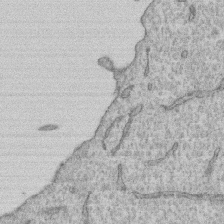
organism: Human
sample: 1205lu cells